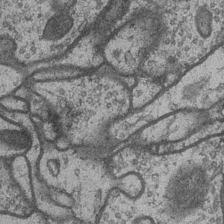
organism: Drosophila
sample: Optic medulla